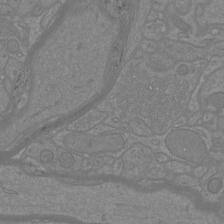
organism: Mouse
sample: Cortical neurons